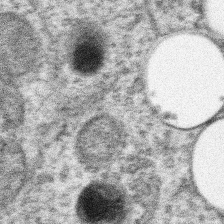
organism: Human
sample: HeLa cells